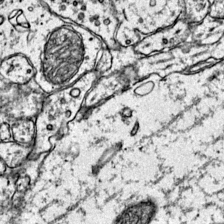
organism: Mouse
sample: Primary visual cortex